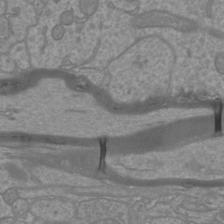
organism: Mouse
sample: Cortical neurons